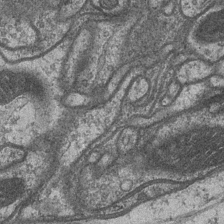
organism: Drosophila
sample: Optic medulla